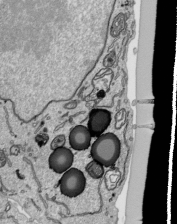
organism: Human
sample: Mitochondria in HCT116 cells